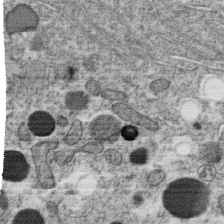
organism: C. elegans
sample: C. elegans oocyte; sperm cells